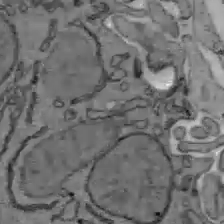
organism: C57BL Mouse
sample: Liver